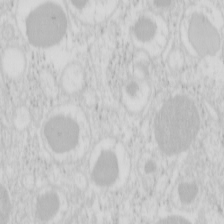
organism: Mouse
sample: Pancreas